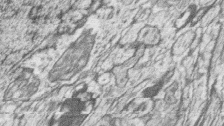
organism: Zebrafish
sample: synaptic ribbons in rod cells and cone cells